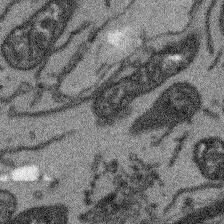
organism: Arabidopsis thaliana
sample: Root tip